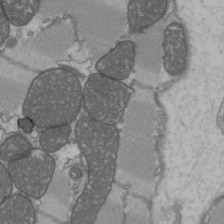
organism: C57BL Mouse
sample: Heart